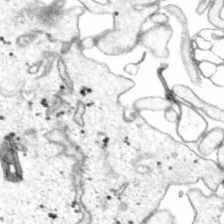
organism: Human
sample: HeLa cells